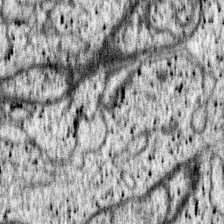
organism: Human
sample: HeLa cells